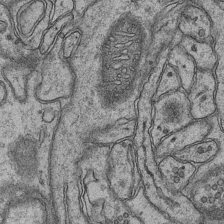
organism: Mouse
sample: CA1 Hippocampus